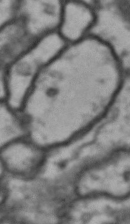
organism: Drosophila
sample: Brain